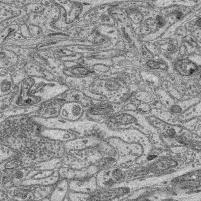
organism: Mouse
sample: Retina